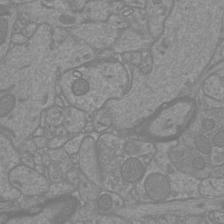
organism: Mouse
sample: Cortical neurons